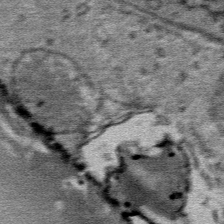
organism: Mouse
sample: Mouse Salivary gland